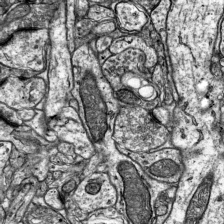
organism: Mouse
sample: Visual Cortex